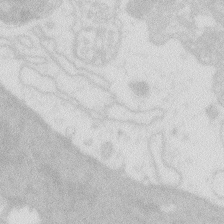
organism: Zebrafish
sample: Macrophage